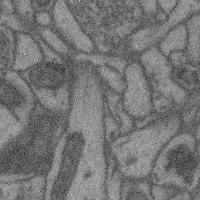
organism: Mouse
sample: Cerebral cortex